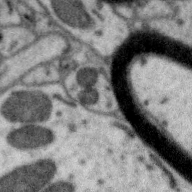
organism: Zebra finch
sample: Brain